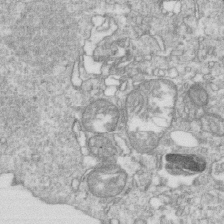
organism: Mouse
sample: Activated OT-1 CD8+ T cells